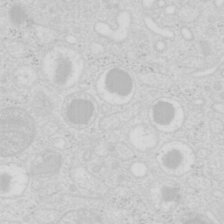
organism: Mouse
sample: Pancreas